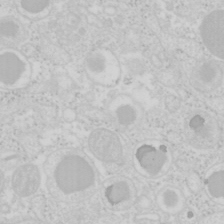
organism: Mouse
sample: Pancreas